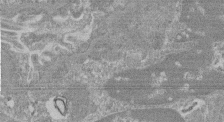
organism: Mouse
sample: Glomerulus